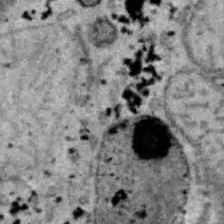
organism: Mouse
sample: Liver from an obese (ob/ob) mouse